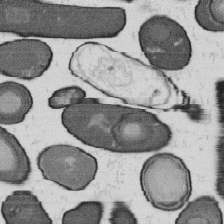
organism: B. subtilis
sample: Bacterial spore